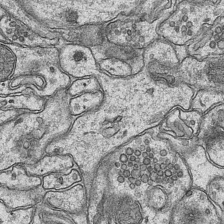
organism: Mouse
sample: CA1 Hippocampus